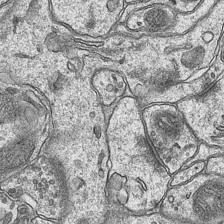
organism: Mouse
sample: CA1 Hippocampus